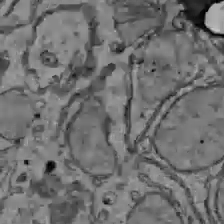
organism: C57BL Mouse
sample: Liver